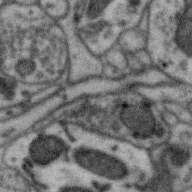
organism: Zebra finch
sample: Brain